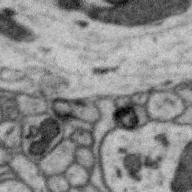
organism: Zebra finch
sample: Brain